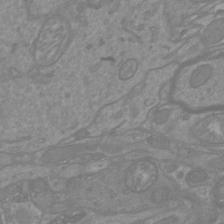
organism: Mouse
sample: Cortical neurons